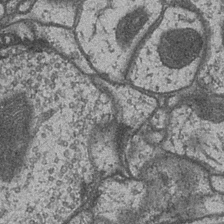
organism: Drosophila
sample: Optic medulla